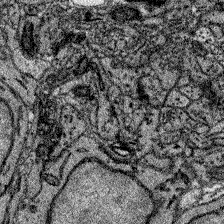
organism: Zebrafish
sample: Larval olfactory bulb